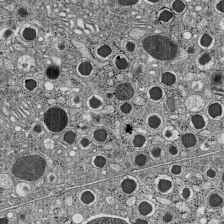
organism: C57BL Mouse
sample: Pancreatic islet